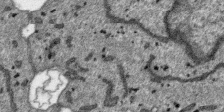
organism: Human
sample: Lung epithelial cells, uninfected (mock) control